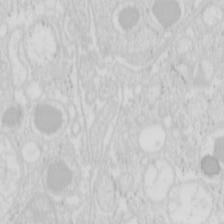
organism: Mouse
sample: Pancreas